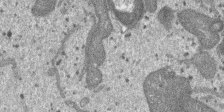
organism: Human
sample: Lung epithelial cells infected with SARS-CoV-2